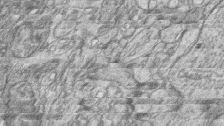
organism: Zebrafish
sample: synaptic ribbons in rod cells and cone cells